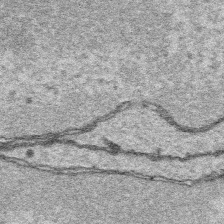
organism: Platynereis dumerilii